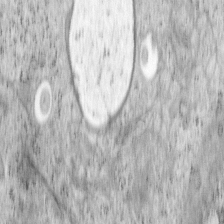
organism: Human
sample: HeLa cells